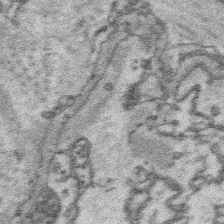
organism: Platynereis dumerilii